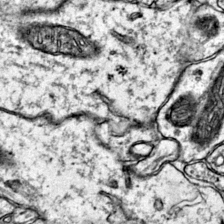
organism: Mouse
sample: Primary visual cortex